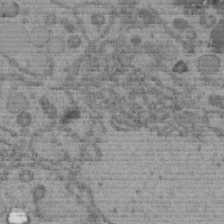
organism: C. elegans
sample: C. elegans embryo early stage